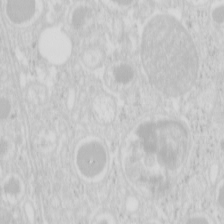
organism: Mouse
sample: Pancreas